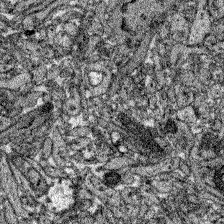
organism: Zebrafish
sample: Larval olfactory bulb